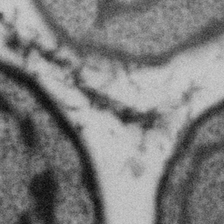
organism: Gemmata obscuriglobus